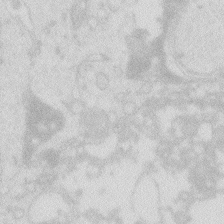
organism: Zebrafish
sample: Macrophage